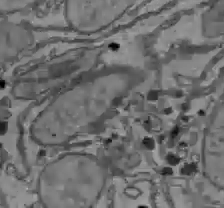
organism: C57BL Mouse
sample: Liver